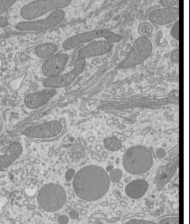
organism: Mouse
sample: Cilia; mouse epididymis